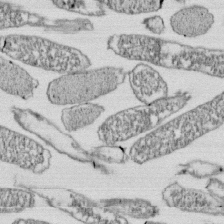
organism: E. coli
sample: Bacterial nucleoid